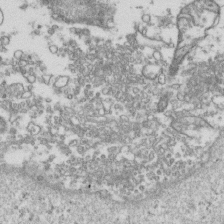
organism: Human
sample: Activated Jurkat CD4+ T cells